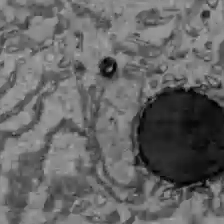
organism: C57BL Mouse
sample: Liver